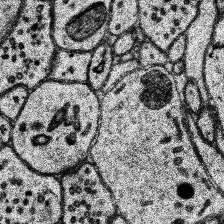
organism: Human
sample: Temporal Lobe